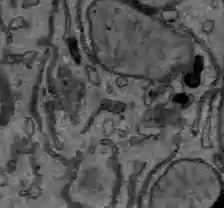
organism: C57BL Mouse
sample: Liver